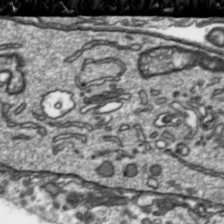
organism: Toxoplasma gondii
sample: Parasites in a vacuole inside a host cell